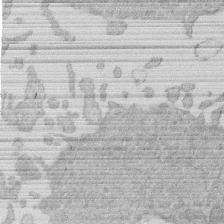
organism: Human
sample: Macrophage cells